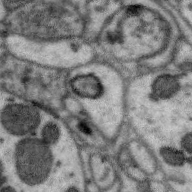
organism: Zebra finch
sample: Brain